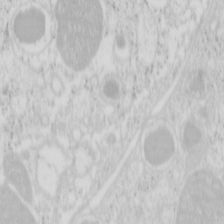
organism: Mouse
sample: Pancreas